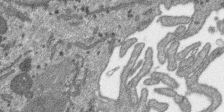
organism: Human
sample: Lung epithelial cells infected with SARS-CoV-2